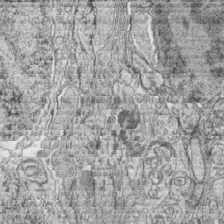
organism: Zebrafish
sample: synaptic ribbons in rod cells and cone cells